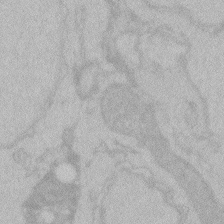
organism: Zebrafish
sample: Macrophage infected with Toxoplasma gondii